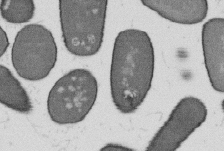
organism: B. subtilis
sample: Bacterial spore